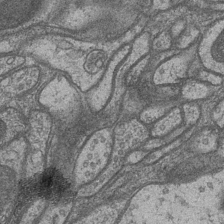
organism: Drosophila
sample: Optic medulla